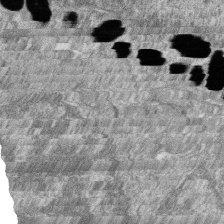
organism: Zebrafish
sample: Cilia; retinal pigment epithelium